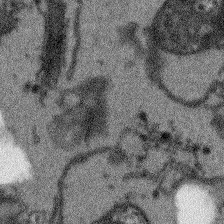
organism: Arabidopsis thaliana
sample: Root tip